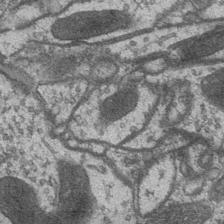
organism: Drosophila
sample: Optic medulla